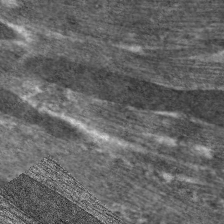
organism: C. elegans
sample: Pharynx